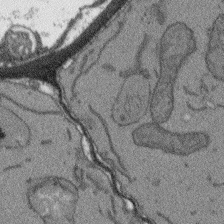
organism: Arabidopsis thaliana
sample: Root tip